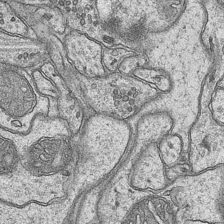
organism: Mouse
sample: CA1 Hippocampus